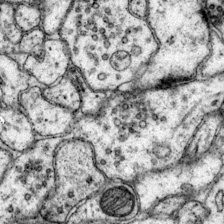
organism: Mouse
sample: Primary visual cortex